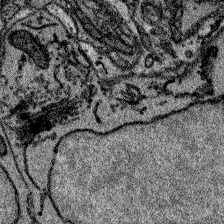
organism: Zebrafish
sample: Larval olfactory bulb